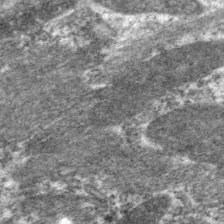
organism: C. elegans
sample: Pharynx